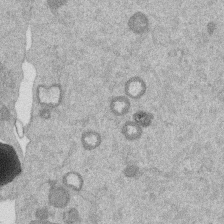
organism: Mouse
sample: Dividing mouse embryo 1 cell stage